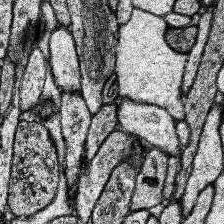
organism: Human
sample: Temporal Lobe